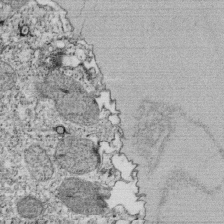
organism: Tetrahymena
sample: Cilia in tetrahymena